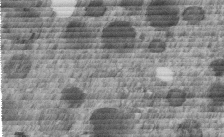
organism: C. elegans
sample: C. elegans embryo early stage